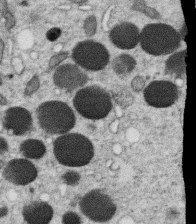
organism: C. elegans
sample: C. elegans oocyte; sperm cells